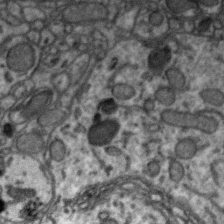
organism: Zebra finch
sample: Brain